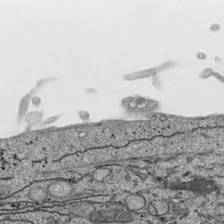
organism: Human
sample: HeLa cells